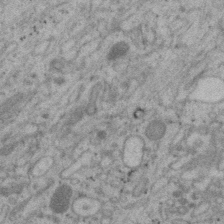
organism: Human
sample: HeLa cells